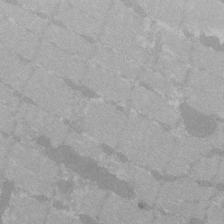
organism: C57BL Mouse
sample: Tibialis anterior muscle cell